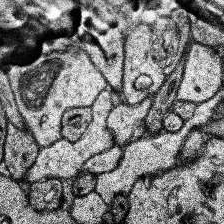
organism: Human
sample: Temporal Lobe